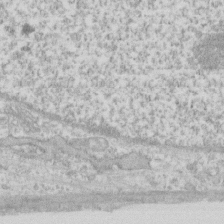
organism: Human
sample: Fibroblast cells